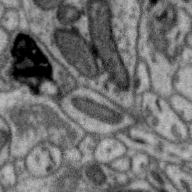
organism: Zebra finch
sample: Brain